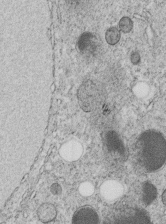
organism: C. elegans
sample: C. elegans embryo early stage